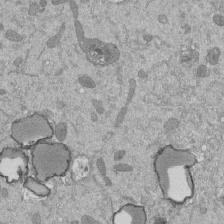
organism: Mouse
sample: ED-1 cell nuclei; centrioles